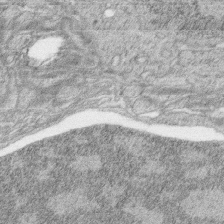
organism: Zebrafish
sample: synaptic ribbons in rod cells and cone cells